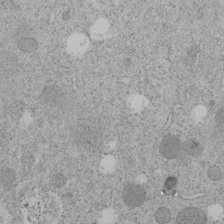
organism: C. elegans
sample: C. elegans embryo early stage